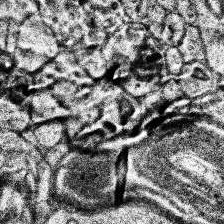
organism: Human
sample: Temporal Lobe